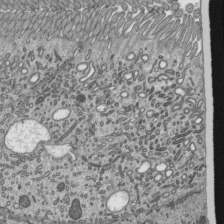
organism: Mouse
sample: Mouse epididymis efferent ductule cilia